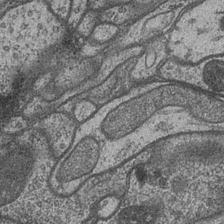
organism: Drosophila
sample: Optic medulla